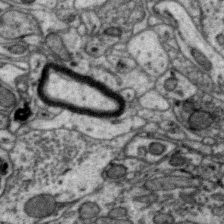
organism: Zebra finch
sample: Brain